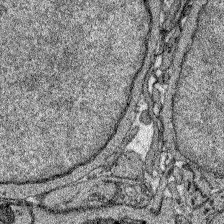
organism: Zebrafish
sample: Larval olfactory bulb